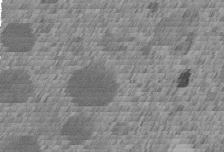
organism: C. elegans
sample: C. elegans embryo early stage